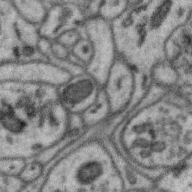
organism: Zebra finch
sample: Brain